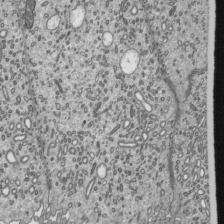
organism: Mouse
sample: Mouse epididymis efferent ductule cilia